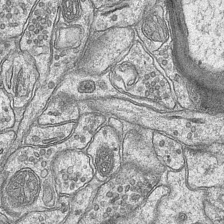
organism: Mouse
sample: CA1 Hippocampus